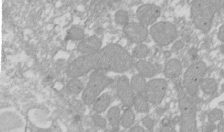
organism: Xenopus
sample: Cilia; centrioles in frog embryo cells